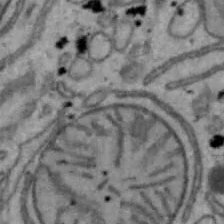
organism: Mouse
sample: Liver